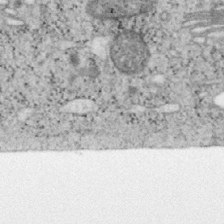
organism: Mouse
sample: OT-I killer T cells with ID8 ovarian cancer cells